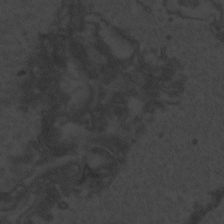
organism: Zebrafish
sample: Macrophage infected with Toxoplasma gondii